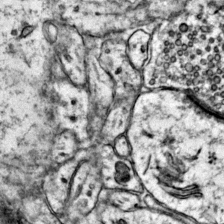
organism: Mouse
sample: Primary visual cortex